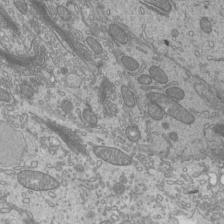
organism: Mouse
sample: Cilia; mouse epididymis